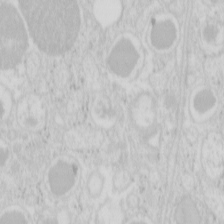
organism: Mouse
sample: Pancreas